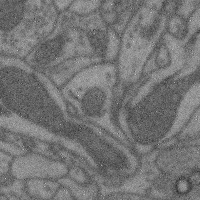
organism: Mouse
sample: Cerebral cortex